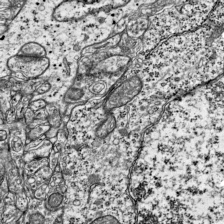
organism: Mouse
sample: Visual Cortex